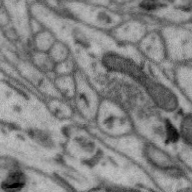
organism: Zebra finch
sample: Brain